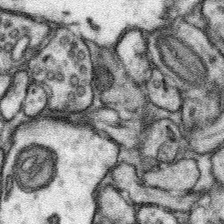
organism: Mouse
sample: Somatosensory cortex neuropil